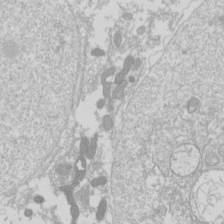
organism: Drosophila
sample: Cell division; meiosis; drosophila spermatocytes